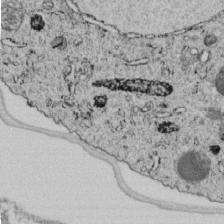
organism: C. elegans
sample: C. elegans embryo early stage